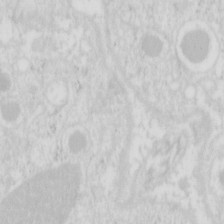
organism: Mouse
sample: Pancreas